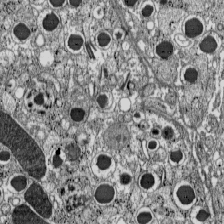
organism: C57BL Mouse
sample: Pancreatic islet